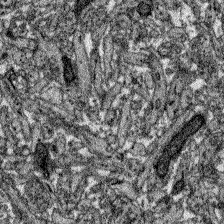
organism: Zebrafish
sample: Larval olfactory bulb